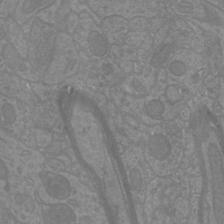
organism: Mouse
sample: Cortical neurons